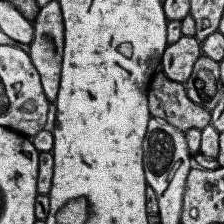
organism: Human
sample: Temporal Lobe